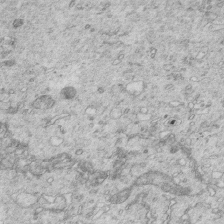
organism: Mouse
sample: Multiciliated cells